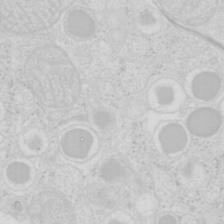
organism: Mouse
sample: Pancreas